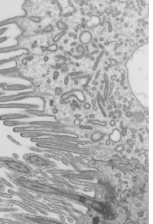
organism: Mouse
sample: Mouse epididymis efferent ductule cilia